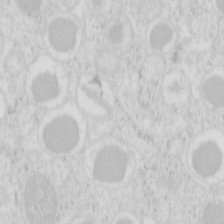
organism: Mouse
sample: Pancreas